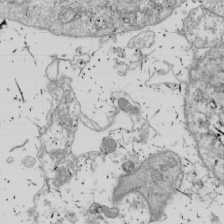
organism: Drosophila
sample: Cell division; meiosis; drosophila spermatocytes